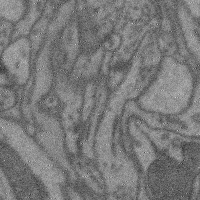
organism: Mouse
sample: Cerebral cortex